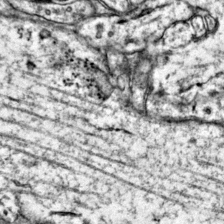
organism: Mouse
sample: Primary visual cortex